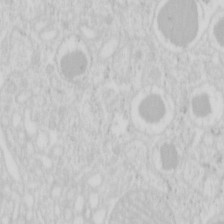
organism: Mouse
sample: Pancreas